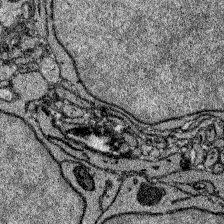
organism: Zebrafish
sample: Larval olfactory bulb